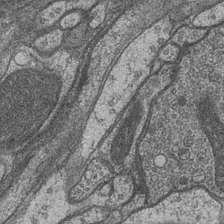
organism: Drosophila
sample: Optic medulla